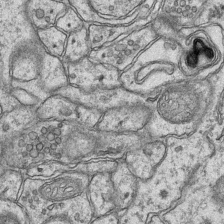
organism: Mouse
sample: CA1 Hippocampus